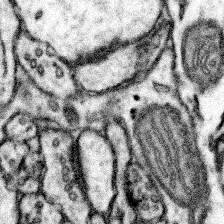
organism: Mouse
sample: Somatosensory cortex neuropil